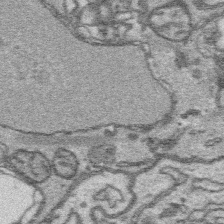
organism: Platynereis dumerilii